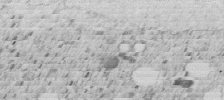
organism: C. elegans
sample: C. elegans embryo early stage